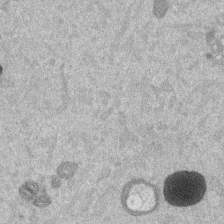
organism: Mouse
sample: Dividing mouse embryo 1 cell stage